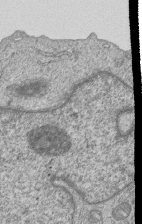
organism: Human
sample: MDA-MB-231 cells